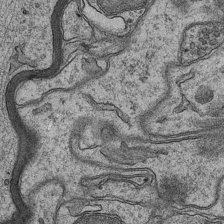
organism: Mouse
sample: CA1 Hippocampus